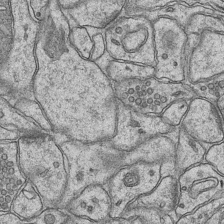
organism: Mouse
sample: CA1 Hippocampus